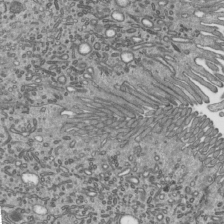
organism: Mouse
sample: Mouse epididymis efferent ductule cilia